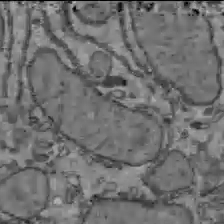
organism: C57BL Mouse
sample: Liver